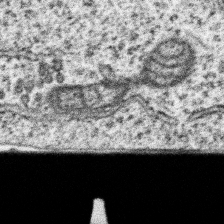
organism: Human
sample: HeLa cells